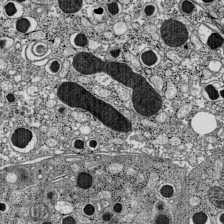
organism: C57BL Mouse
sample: Pancreatic islet